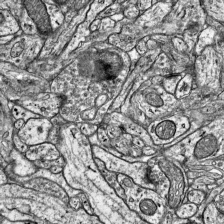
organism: Mouse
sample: Visual Cortex